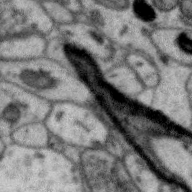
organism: Zebra finch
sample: Brain